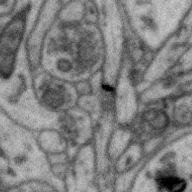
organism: Zebra finch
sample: Brain